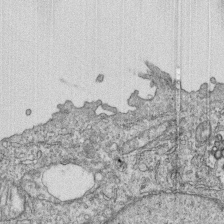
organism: Human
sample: HeLa cell HIV synapse